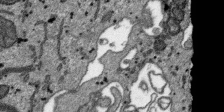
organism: Human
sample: Lung epithelial cells, uninfected (mock) control